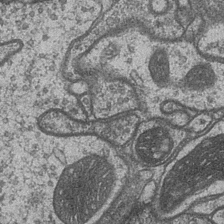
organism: Drosophila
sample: Optic medulla